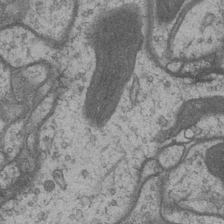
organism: Drosophila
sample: Optic medulla